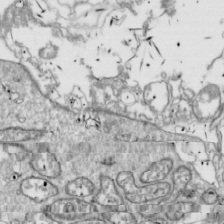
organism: Drosophila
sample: Cell division; meiosis; drosophila spermatocytes